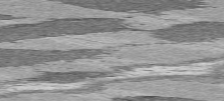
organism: C57BL Mouse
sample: Heart